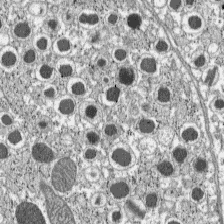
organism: C57BL Mouse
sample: Pancreatic islet